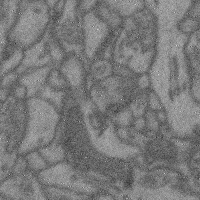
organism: Mouse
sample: Cerebral cortex